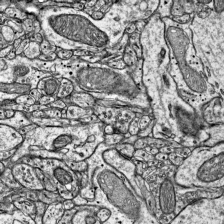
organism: Mouse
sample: Visual Cortex